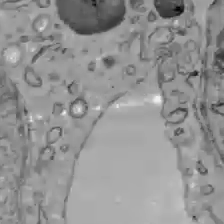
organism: C57BL Mouse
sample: Liver